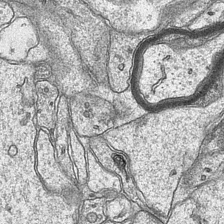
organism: Mouse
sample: CA1 Hippocampus